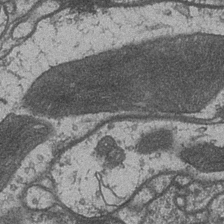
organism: Drosophila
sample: Optic medulla